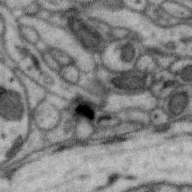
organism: Zebra finch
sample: Brain